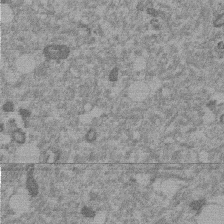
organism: Mouse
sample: Dividing mouse embryo 1 cell stage